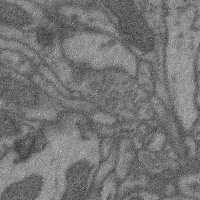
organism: Mouse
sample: Cerebral cortex